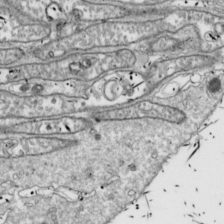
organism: Drosophila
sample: Cell division; meiosis; drosophila spermatocytes